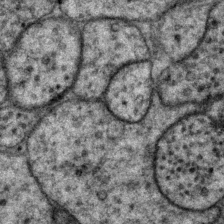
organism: P. pacificus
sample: Pharynx